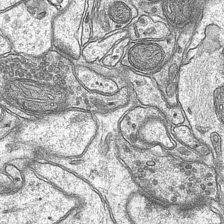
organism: Mouse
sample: CA1 Hippocampus